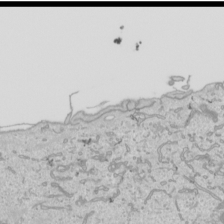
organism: Human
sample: Mitochondria in HCT116 cells